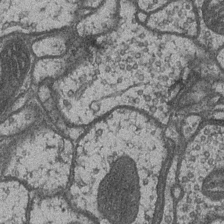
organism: Drosophila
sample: Optic medulla